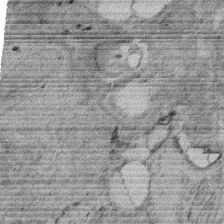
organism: Rat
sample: Salivary granule